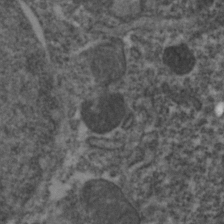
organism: Zebrafish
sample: Zebrafish embryo